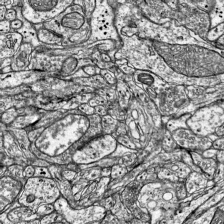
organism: Mouse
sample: Visual Cortex